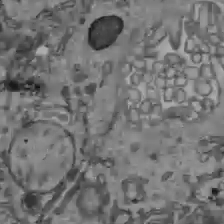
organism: C57BL Mouse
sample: Liver